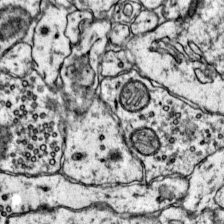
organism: Mouse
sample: Primary visual cortex